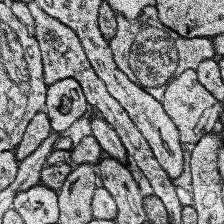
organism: Human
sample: Temporal Lobe